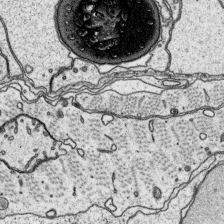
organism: Platynereis dumerilii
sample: Parapodia